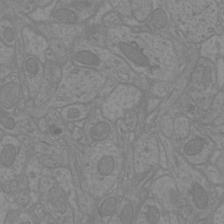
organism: Mouse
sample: Cortical neurons